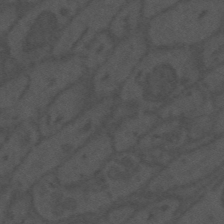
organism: Mouse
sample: Suprachiasmatic nucleus